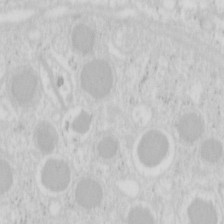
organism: Mouse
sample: Pancreas